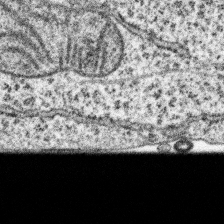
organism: Human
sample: HeLa cells